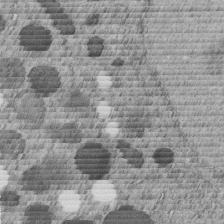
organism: C. elegans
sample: C. elegans embryo early stage